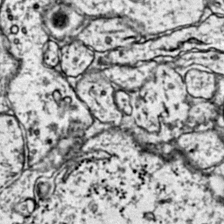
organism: Mouse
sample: Primary visual cortex